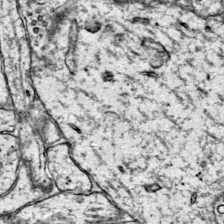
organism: Mouse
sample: Primary visual cortex